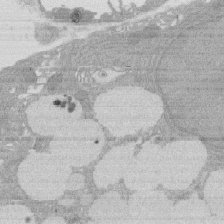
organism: Rat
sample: Salivary granule